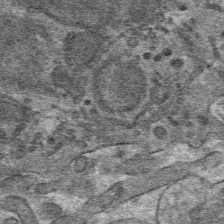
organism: Mouse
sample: Mouse hepatocytes